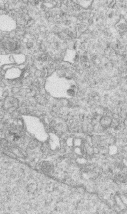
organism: Human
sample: HeLa cell HIV synapse